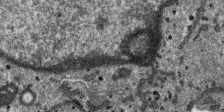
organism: Human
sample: Lung epithelial cells infected with SARS-CoV-2